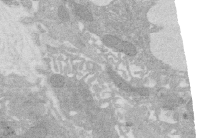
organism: Rat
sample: Salivary granule